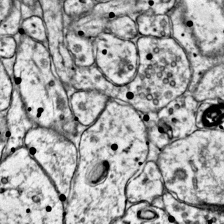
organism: Mouse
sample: Primary visual cortex